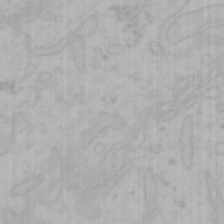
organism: Mouse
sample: Choroid plexus